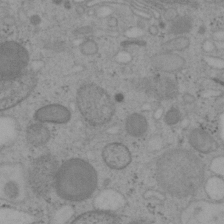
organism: Mouse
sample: OT-I killer T cells with ID8 ovarian cancer cells